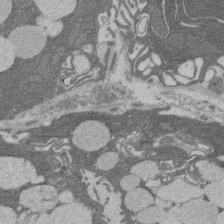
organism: Rat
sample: Salivary granule